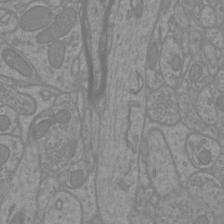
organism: Mouse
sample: Cortical neurons